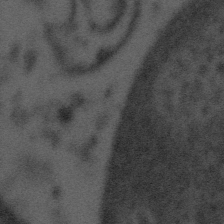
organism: Tuwongella immobilis